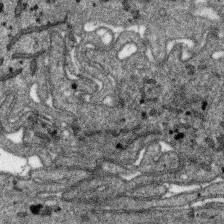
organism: Human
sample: Lung epithelial cells infected with SARS-CoV-2